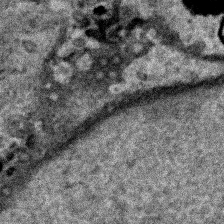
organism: Human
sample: Mitochondria in HCT116 cells